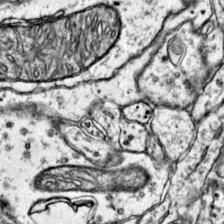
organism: Mouse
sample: Primary visual cortex